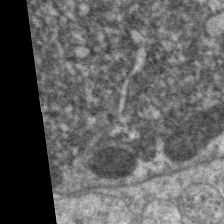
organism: C. elegans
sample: Pharynx